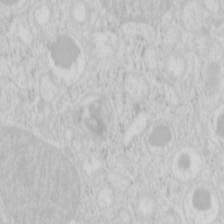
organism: Mouse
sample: Pancreas